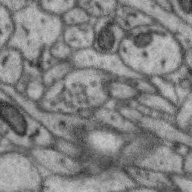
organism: Zebra finch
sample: Brain